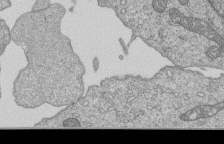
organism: Human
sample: MDA-MB-231 cells